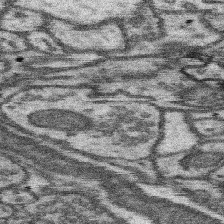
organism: Mouse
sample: Somatosensory cortex neuropil